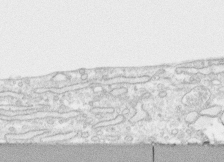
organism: Human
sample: CRL-1474